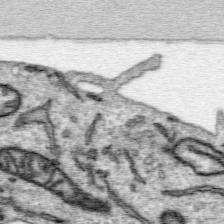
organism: Human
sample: HeLa cells